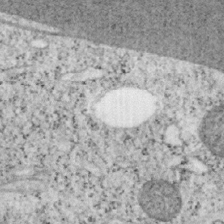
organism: Mouse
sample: OT-I killer T cells with ID8 ovarian cancer cells